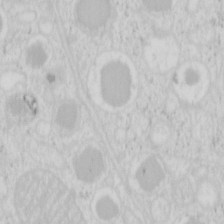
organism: Mouse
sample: Pancreas